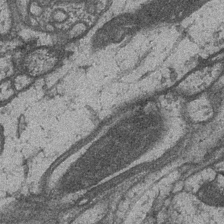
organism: Drosophila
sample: Optic medulla